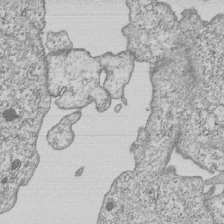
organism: Human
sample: MDA-MB-231 cells